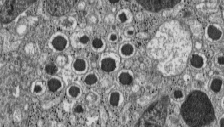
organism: C57BL Mouse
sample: Pancreatic islet